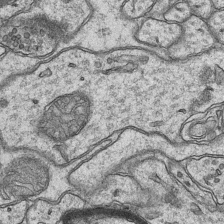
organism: Mouse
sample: CA1 Hippocampus